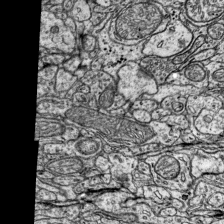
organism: Mouse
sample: Visual Cortex